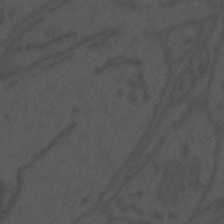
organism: Mouse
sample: Suprachiasmatic nucleus